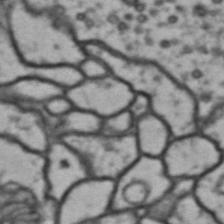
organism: Drosophila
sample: Brain